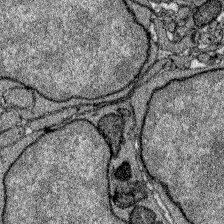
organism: Zebrafish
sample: Larval olfactory bulb